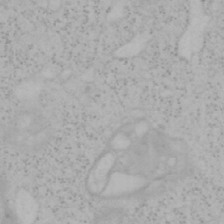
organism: Mouse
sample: OT-I killer T cells with ID8 ovarian cancer cells